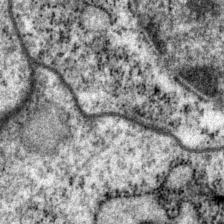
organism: P. pacificus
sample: Pharynx